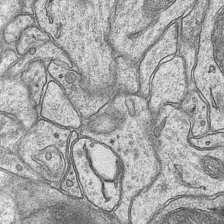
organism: Mouse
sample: CA1 Hippocampus